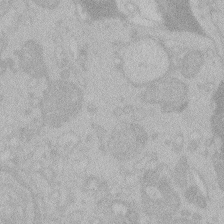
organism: Zebrafish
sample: Macrophage infected with Toxoplasma gondii